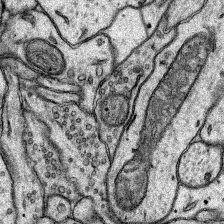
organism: Rat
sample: Hippocampus